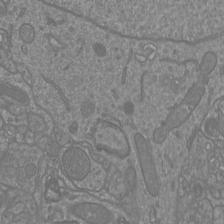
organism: Mouse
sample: Cortical neurons